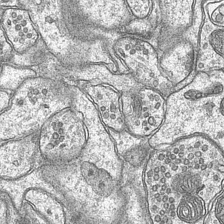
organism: Mouse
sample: CA1 Hippocampus